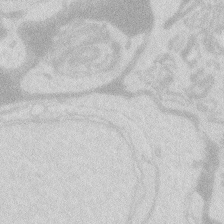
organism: Zebrafish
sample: Macrophage